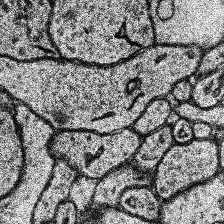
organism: Human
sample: Temporal Lobe